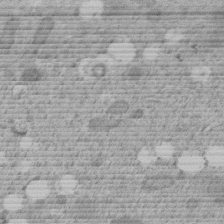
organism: C. elegans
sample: C. elegans embryo early stage